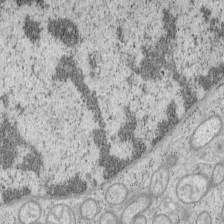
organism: Mouse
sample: OT-I killer T cells with ID8 ovarian cancer cells